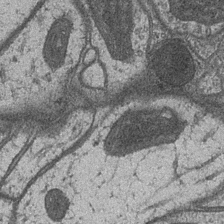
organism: Drosophila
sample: Optic medulla